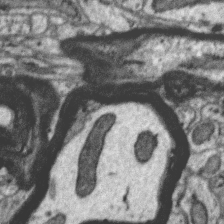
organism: Zebra finch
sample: Brain